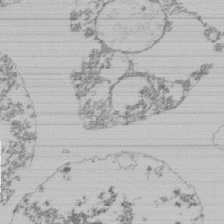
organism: Mouse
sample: Activated Pmel transgenic CD8+ T Cells